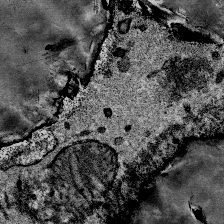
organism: Mouse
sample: Mouse Salivary gland